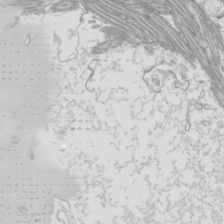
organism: Mouse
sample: Cilia; mouse epididymis